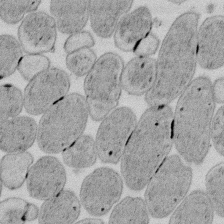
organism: E. coli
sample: Bacterial nucleoid